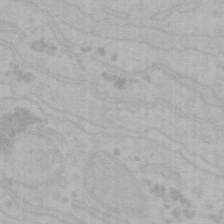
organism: Mouse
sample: Choroid plexus